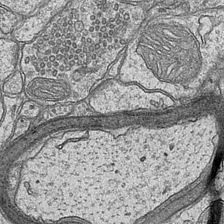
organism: Mouse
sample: CA1 Hippocampus